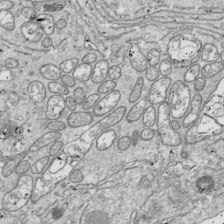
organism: Drosophila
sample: Cell division; meiosis; drosophila spermatocytes